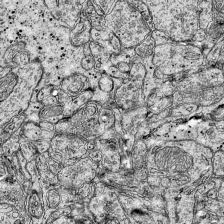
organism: Mouse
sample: Visual Cortex